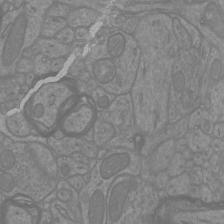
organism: Mouse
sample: Cortical neurons